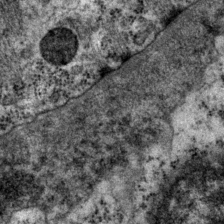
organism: P. pacificus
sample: Pharynx